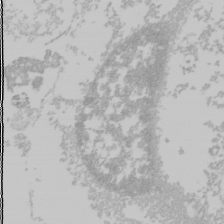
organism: Mouse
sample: Cancer cell death in ED-1 cells